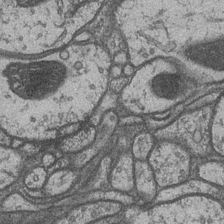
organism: Drosophila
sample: Optic medulla